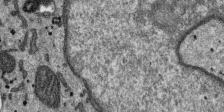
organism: Human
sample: Lung epithelial cells, uninfected (mock) control